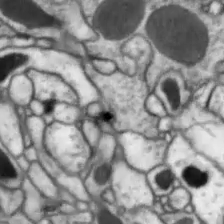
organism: Drosophila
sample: Optic lobe